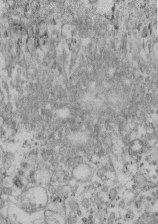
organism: Mouse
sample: Cilia; retinal pigment epithelium